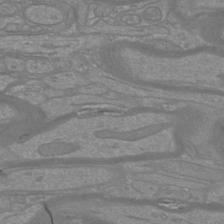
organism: Mouse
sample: Cortical neurons